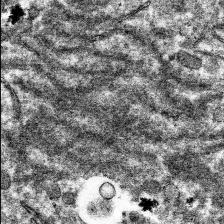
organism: Mouse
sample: Mouse hepatocytes